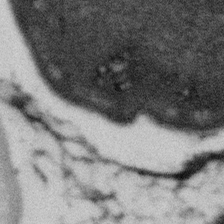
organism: Gemmata obscuriglobus